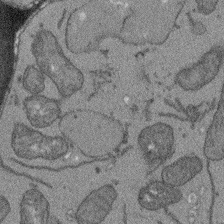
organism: Arabidopsis thaliana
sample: Root tip